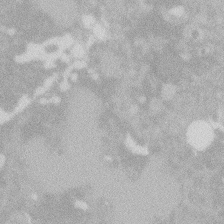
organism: Zebrafish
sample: Macrophage